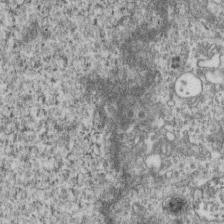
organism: Mouse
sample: Centriole in ependymal cells